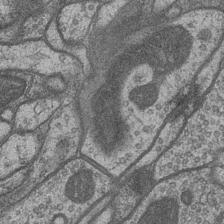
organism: Drosophila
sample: Optic medulla